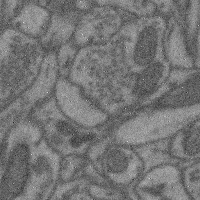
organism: Mouse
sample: Cerebral cortex